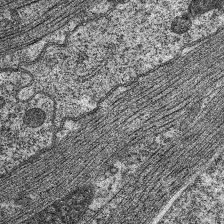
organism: C. elegans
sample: Pharynx